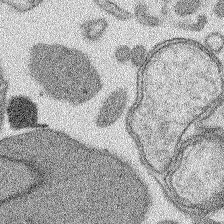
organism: Human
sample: HeLa cells